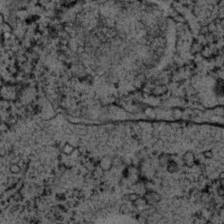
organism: C. elegans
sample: C. elegans embryo